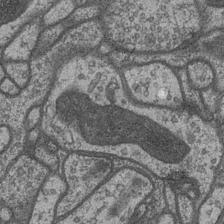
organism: Drosophila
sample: Optic medulla